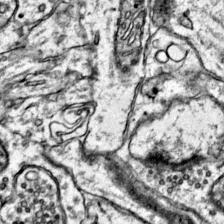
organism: Mouse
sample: Primary visual cortex